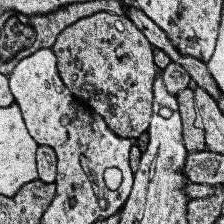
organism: Human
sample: Temporal Lobe